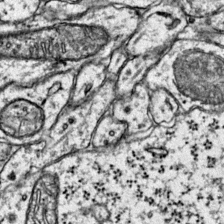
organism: Mouse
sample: Primary visual cortex